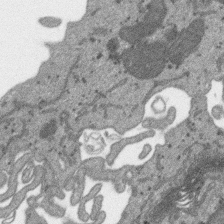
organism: Human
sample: Lung epithelial cells infected with SARS-CoV-2